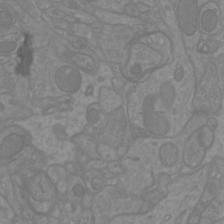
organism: Mouse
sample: Cortical neurons